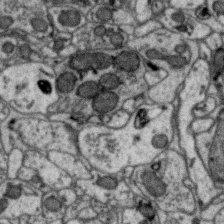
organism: Zebra finch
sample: Brain